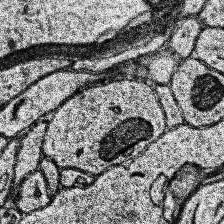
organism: Human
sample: Temporal Lobe